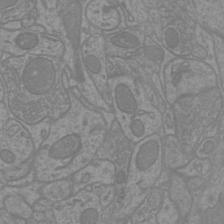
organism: Mouse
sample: Cortical neurons